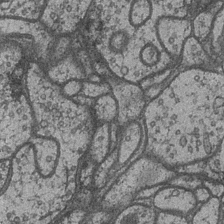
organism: Drosophila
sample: Optic medulla